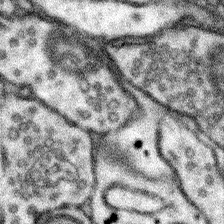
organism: Mouse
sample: Somatosensory cortex neuropil